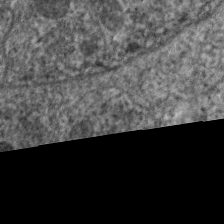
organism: C. elegans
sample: Pharynx